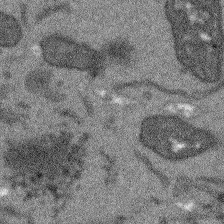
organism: Arabidopsis thaliana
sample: Root tip